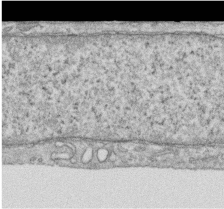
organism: Human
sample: Centriole in RPE cells